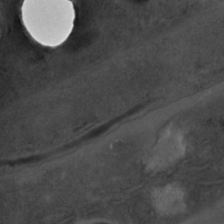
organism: C. elegans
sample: C. elegans embryo